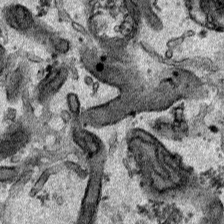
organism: Human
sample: Mitochondria in HCT116 cells